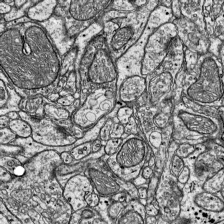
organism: Mouse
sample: Visual Cortex